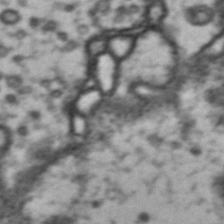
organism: Drosophila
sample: Brain